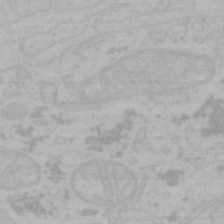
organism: Mouse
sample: Choroid plexus